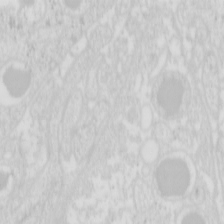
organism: Mouse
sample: Pancreas